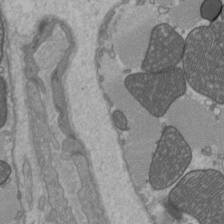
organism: C57BL Mouse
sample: Heart